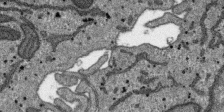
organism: Human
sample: Lung epithelial cells, uninfected (mock) control